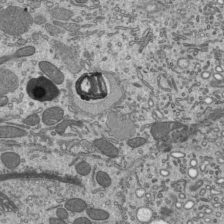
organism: Mouse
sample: Mouse epididymis efferent ductule cilia